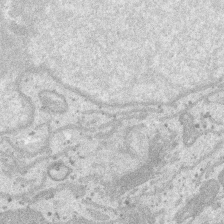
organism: Human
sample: Lung epithelial cells infected with SARS-CoV-2